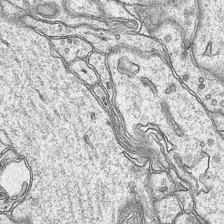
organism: Mouse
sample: CA1 Hippocampus